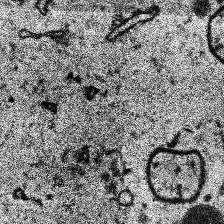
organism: Human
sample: Temporal Lobe